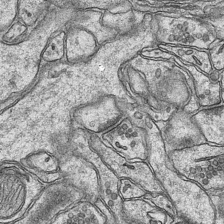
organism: Mouse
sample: CA1 Hippocampus